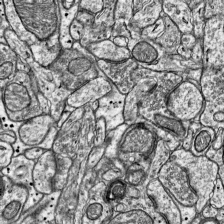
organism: Mouse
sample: Visual Cortex